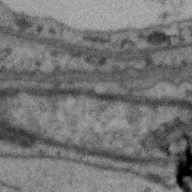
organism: Zebra finch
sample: Brain